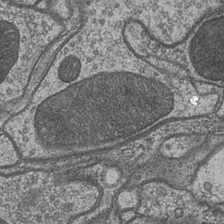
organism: Drosophila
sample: Optic medulla